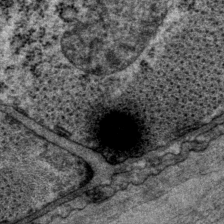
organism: P. pacificus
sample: Pharynx